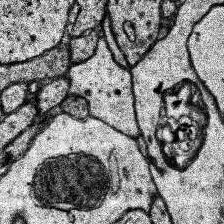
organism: Human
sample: Temporal Lobe